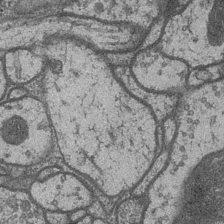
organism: Drosophila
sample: Optic medulla